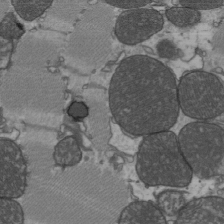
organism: C57BL Mouse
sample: Heart